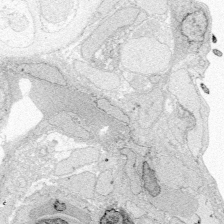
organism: Zebrafish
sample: Whole-Brain